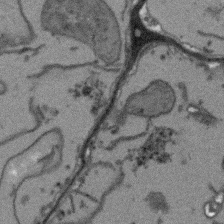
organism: Arabidopsis thaliana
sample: Root tip